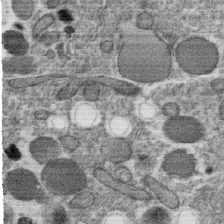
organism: C. elegans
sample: C. elegans oocyte; sperm cells